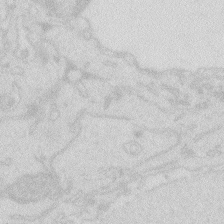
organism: Zebrafish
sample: Macrophage